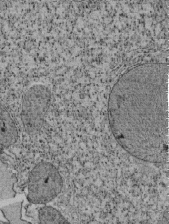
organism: Tetrahymena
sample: Cilia in tetrahymena